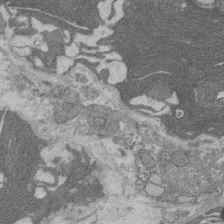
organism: Rat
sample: Salivary granule